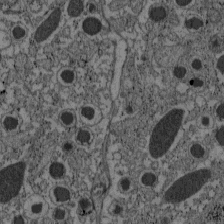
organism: C57BL Mouse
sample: Pancreatic islet